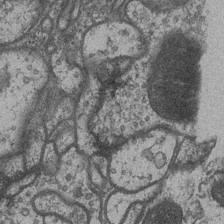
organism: Drosophila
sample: Optic medulla